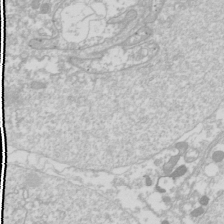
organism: Drosophila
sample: Cell division; meiosis; drosophila spermatocytes